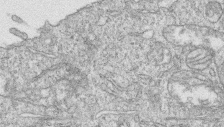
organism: Human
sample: HeLa cell HIV synapse